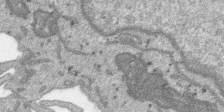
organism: Human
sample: Lung epithelial cells infected with SARS-CoV-2